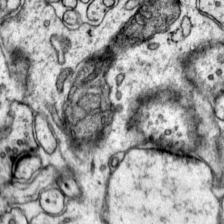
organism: Mouse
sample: Primary visual cortex